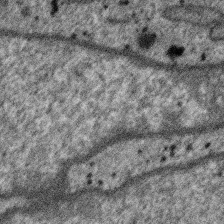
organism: Human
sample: Lung epithelial cells infected with SARS-CoV-2